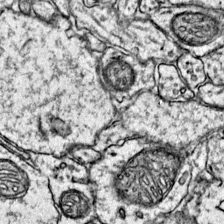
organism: Mouse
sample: Primary visual cortex